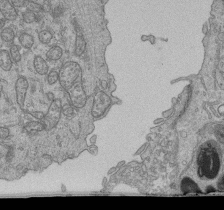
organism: Human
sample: Retinal organoid Rod and Cone cells